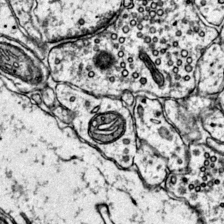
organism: Mouse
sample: Primary visual cortex